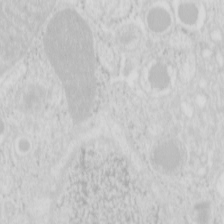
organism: Mouse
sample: Pancreas